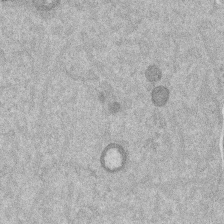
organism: Mouse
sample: Dividing mouse embryo 1 cell stage